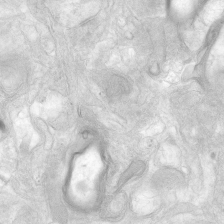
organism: Human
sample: Neocortex